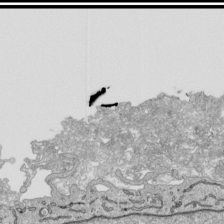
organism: Human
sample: Mitochondria in HCT116 cells